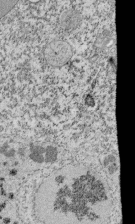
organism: Tetrahymena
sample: Cilia in tetrahymena